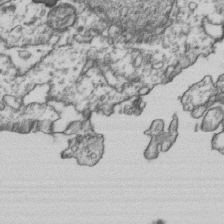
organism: Human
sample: Activated Jurkat CD4+ T cells